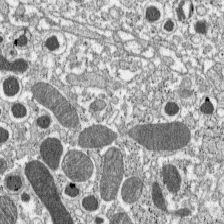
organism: C57BL Mouse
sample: Pancreatic islet